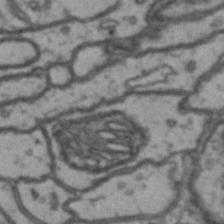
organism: Drosophila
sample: Brain